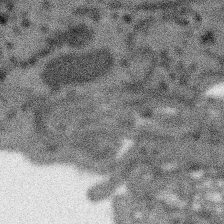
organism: Human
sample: Lung epithelial cells infected with SARS-CoV-2